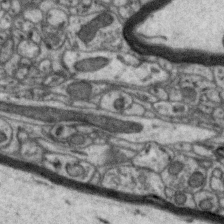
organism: Zebra finch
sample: Brain